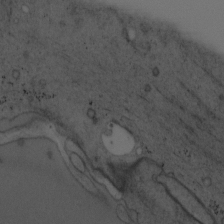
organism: Mouse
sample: OT-I killer T cells with ID8 ovarian cancer cells